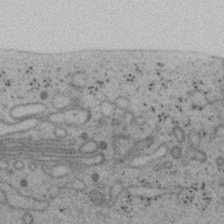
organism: Human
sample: HeLa cells